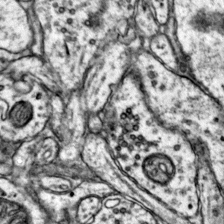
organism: Mouse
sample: Primary visual cortex